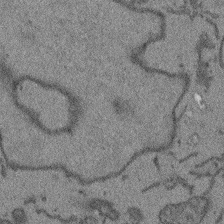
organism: Arabidopsis thaliana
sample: Root tip